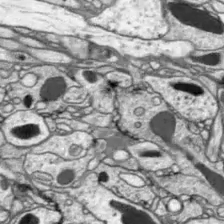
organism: Drosophila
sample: Optic lobe